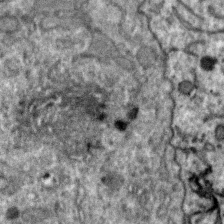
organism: Zebra finch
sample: Brain